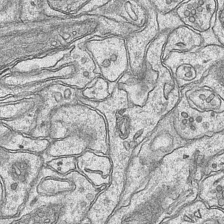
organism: Mouse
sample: CA1 Hippocampus